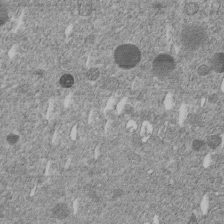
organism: C. elegans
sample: C. elegans embryo early stage